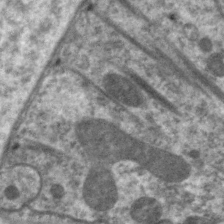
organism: C. elegans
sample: Pharynx